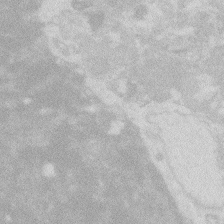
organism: Zebrafish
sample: Macrophage